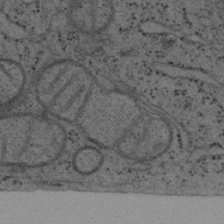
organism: Human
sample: HeLa cells